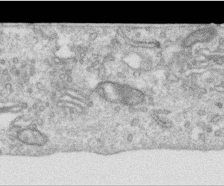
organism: Human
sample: Centriole in RPE cells